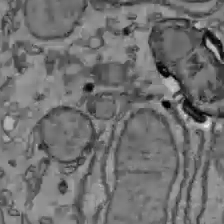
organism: C57BL Mouse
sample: Liver